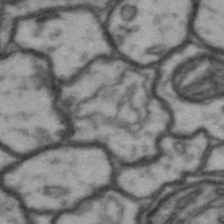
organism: Drosophila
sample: Brain